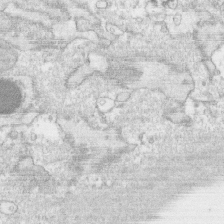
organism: Human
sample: CRL-1474